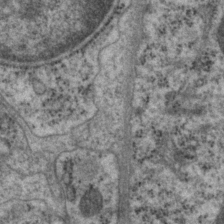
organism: P. pacificus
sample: Pharynx